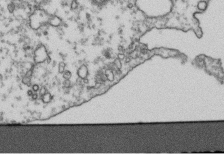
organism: Human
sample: Activated Jurkat CD4+ T cells